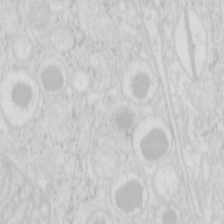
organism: Mouse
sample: Pancreas